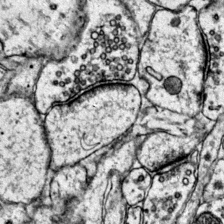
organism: Mouse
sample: Primary visual cortex